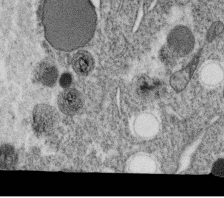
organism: C. elegans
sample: C. elegans oocyte; sperm cells